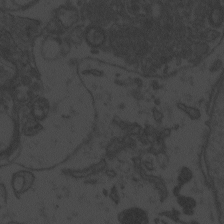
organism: Zebrafish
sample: Macrophage infected with Toxoplasma gondii